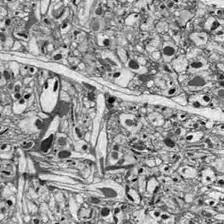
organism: Drosophila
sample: Optic lobe